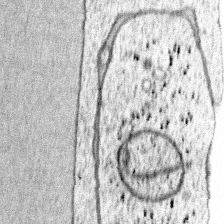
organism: Human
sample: HeLa cells